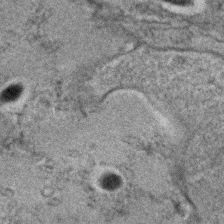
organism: C. elegans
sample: C. elegans embryo